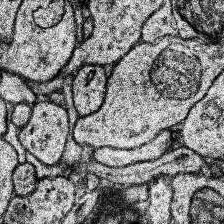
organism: Human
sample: Temporal Lobe